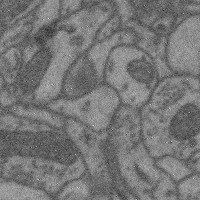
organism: Mouse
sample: Cerebral cortex